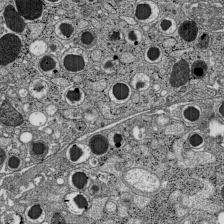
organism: C57BL Mouse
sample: Pancreatic islet